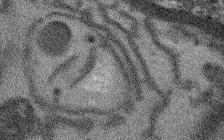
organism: Arabidopsis thaliana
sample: Root tip